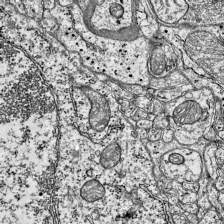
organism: Mouse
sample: Visual Cortex